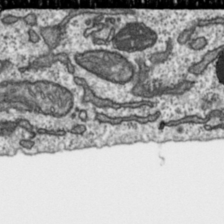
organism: Toxoplasma gondii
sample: Parasites in a vacuole inside a host cell